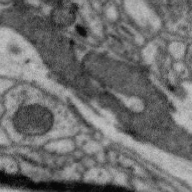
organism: Zebra finch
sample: Brain